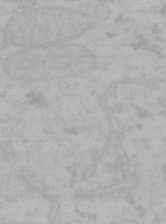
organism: Mouse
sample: Choroid plexus